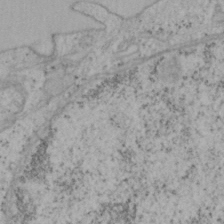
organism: Human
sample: HeLa cells